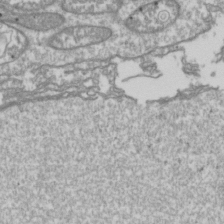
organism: Drosophila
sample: Cell division; meiosis; drosophila spermatocytes